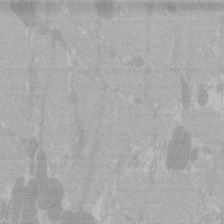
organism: C57BL Mouse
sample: Tibialis anterior muscle cell